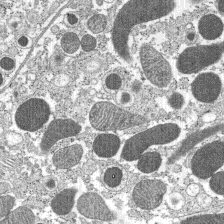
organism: C57BL Mouse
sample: Pancreatic islet